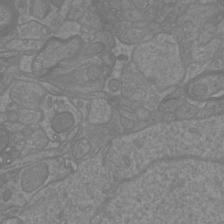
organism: Mouse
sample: Cortical neurons